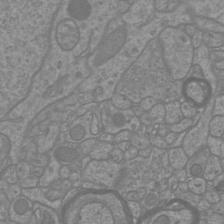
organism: Mouse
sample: Cortical neurons